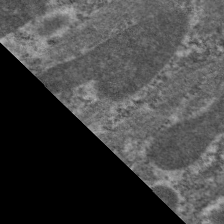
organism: C. elegans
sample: Pharynx